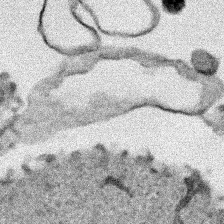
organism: Human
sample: Mitochondria in HCT116 cells